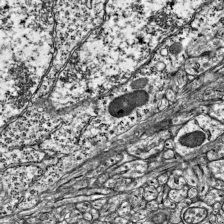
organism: Mouse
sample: Visual Cortex